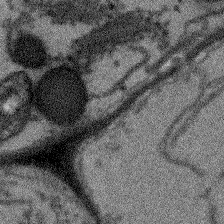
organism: Arabidopsis thaliana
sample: Root tip